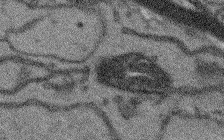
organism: Arabidopsis thaliana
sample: Root tip